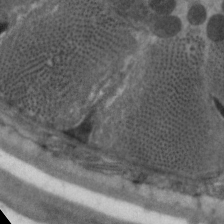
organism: C. elegans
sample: Pharynx